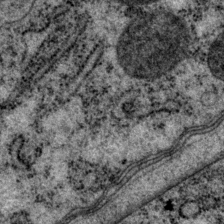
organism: P. pacificus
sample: Pharynx